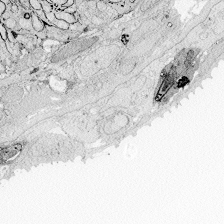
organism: Zebrafish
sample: Whole-Brain